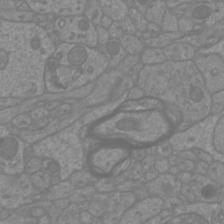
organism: Mouse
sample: Cortical neurons